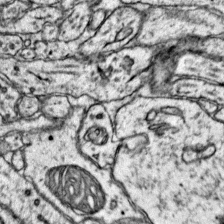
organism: Mouse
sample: Primary visual cortex